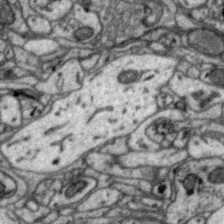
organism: Zebra finch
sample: Brain